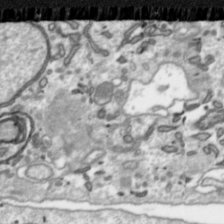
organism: Toxoplasma gondii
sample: Parasites in a vacuole inside a host cell